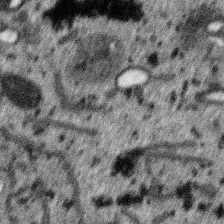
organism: Human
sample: Lung epithelial cells infected with SARS-CoV-2